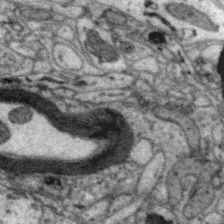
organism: Zebra finch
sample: Brain